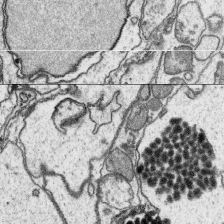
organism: Platynereis dumerilii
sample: Parapodia